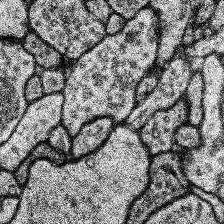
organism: Human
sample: Temporal Lobe